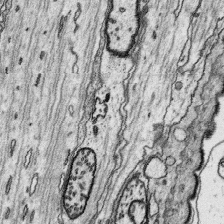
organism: Platynereis dumerilii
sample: Parapodia